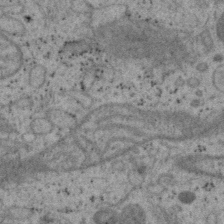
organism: Human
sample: HeLa cells